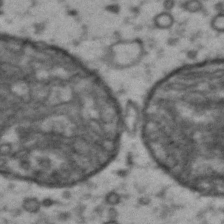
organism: Drosophila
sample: Brain